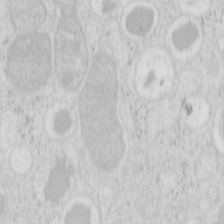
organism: Mouse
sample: Pancreas